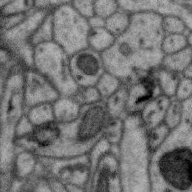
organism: Zebra finch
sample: Brain